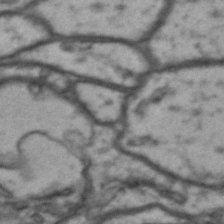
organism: Drosophila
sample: Brain